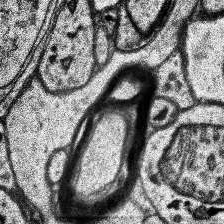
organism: Human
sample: Temporal Lobe